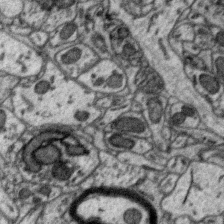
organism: Zebra finch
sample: Brain